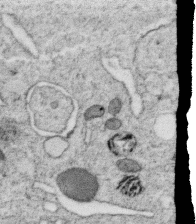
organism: C. elegans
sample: C. elegans oocyte; sperm cells